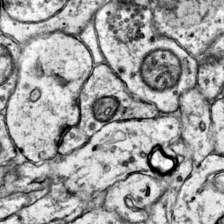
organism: Mouse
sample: Primary visual cortex